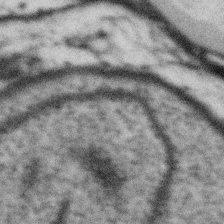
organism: Gemmata obscuriglobus